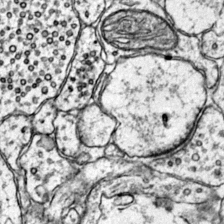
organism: Mouse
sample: Primary visual cortex